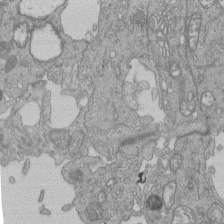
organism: Human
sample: Retinal organoid Rod and Cone cells